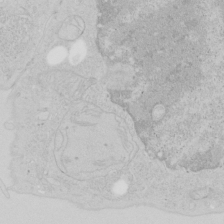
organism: Human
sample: Mitochondria in HCT116 cells